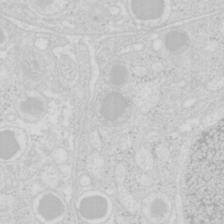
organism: Mouse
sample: Pancreas